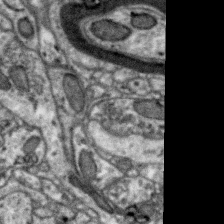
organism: Zebra finch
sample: Brain